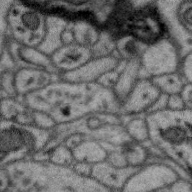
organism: Zebra finch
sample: Brain